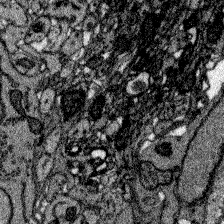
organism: Zebrafish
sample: Larval olfactory bulb